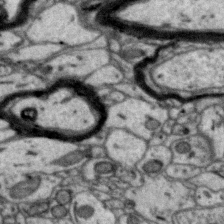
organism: Zebra finch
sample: Brain